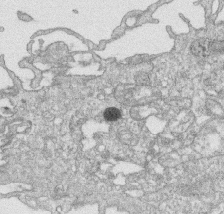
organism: Human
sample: HeLa cell HIV synapse